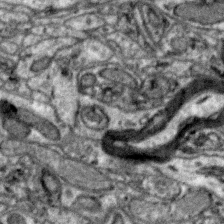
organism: Zebra finch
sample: Brain